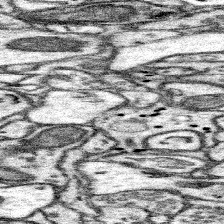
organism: Mouse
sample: Somatosensory cortex neuropil